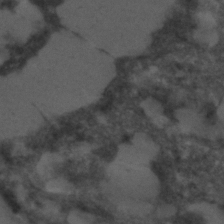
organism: C. elegans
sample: C. elegans embryo